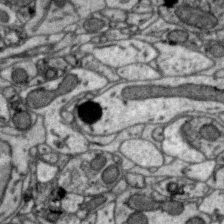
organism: Zebra finch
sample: Brain